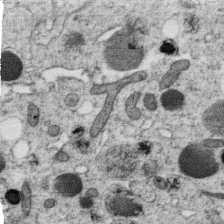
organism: C. elegans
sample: C. elegans oocyte; sperm cells